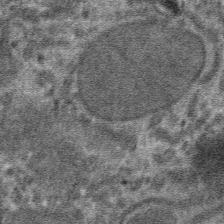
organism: Mouse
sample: Mouse hepatocytes